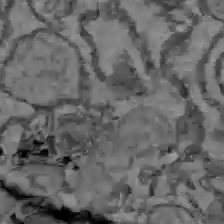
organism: C57BL Mouse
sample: Liver